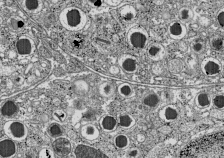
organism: C57BL Mouse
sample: Pancreatic islet